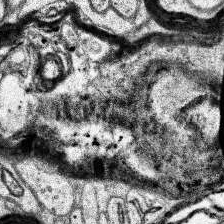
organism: Human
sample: Temporal Lobe